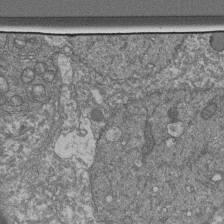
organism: Human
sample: Retinal organoid Rod and Cone cells